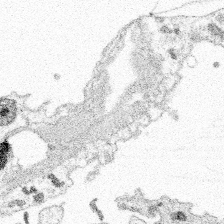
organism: Spongilla lacustris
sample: Multiple